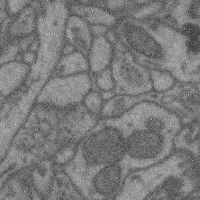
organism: Mouse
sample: Cerebral cortex